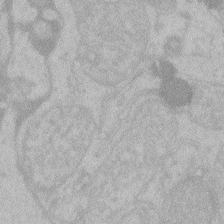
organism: Zebrafish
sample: Macrophage infected with Toxoplasma gondii